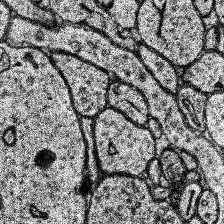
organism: Human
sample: Temporal Lobe